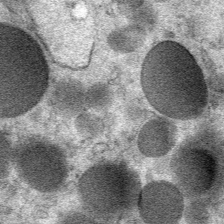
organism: Mouse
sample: Mouse Salivary gland